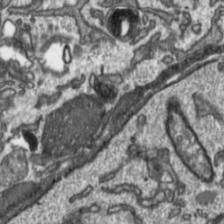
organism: Toxoplasma gondii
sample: Parasites in a vacuole inside a host cell